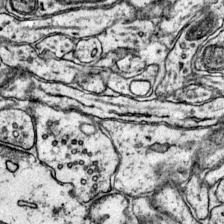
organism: Mouse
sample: Primary visual cortex